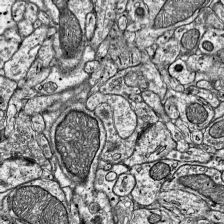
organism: Mouse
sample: Visual Cortex